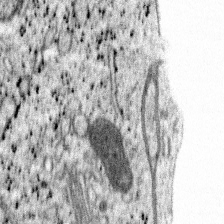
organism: Human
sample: HeLa cells